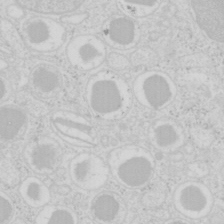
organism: Mouse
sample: Pancreas